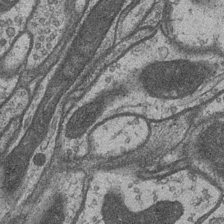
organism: Drosophila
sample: Optic medulla